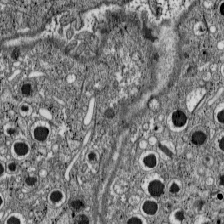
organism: C57BL Mouse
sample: Pancreatic islet